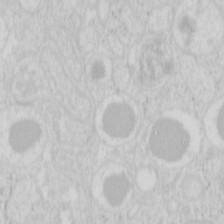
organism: Mouse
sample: Pancreas